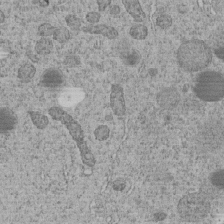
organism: C. elegans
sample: C. elegans embryo early stage